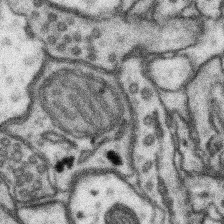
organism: Mouse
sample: Somatosensory cortex neuropil